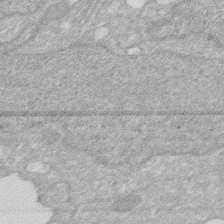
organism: Human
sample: HIV infected U937 cells